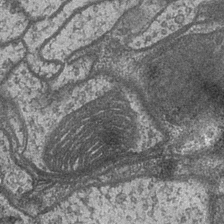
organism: Drosophila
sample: Optic medulla